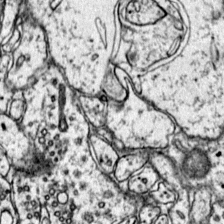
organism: Mouse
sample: Primary visual cortex